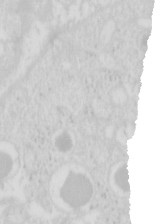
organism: Mouse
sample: Pancreas